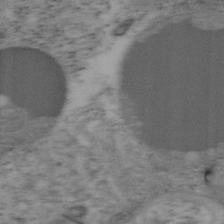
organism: Mouse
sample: OT-I killer T cells with ID8 ovarian cancer cells